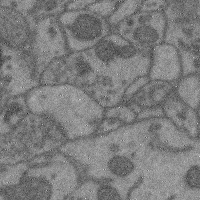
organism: Mouse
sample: Cerebral cortex